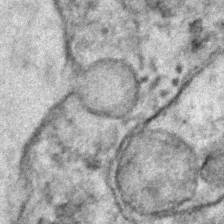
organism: Human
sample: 1205lu cells